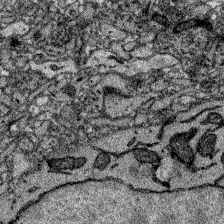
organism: Zebrafish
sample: Larval olfactory bulb